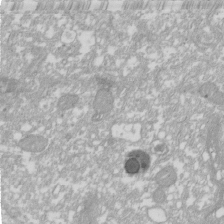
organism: Xenopus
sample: Cilia; centrioles in frog embryo cells